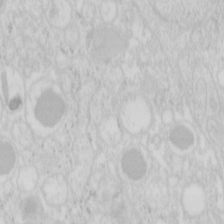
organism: Mouse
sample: Pancreas